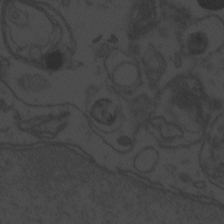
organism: Zebrafish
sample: Macrophage infected with Toxoplasma gondii